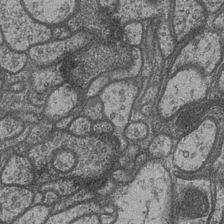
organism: Drosophila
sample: Optic medulla